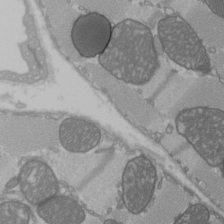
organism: C57BL Mouse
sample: Heart